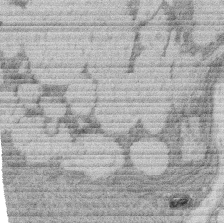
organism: Rat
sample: Salivary granule